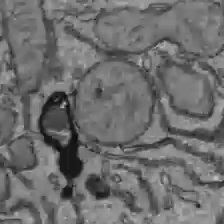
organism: C57BL Mouse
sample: Liver